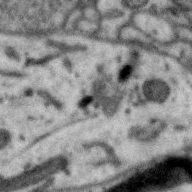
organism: Zebra finch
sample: Brain